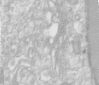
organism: Human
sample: Centriole in RPE cells